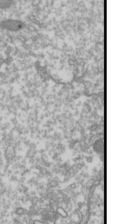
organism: Drosophila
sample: Cell division; meiosis; drosophila spermatocytes